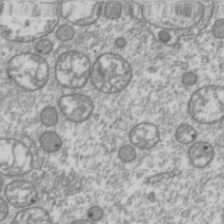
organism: Drosophila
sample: Cell division; meiosis; drosophila spermatocytes